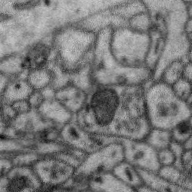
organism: Zebra finch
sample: Brain